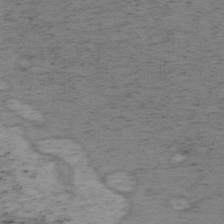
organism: Mouse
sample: OT-I killer T cells with ID8 ovarian cancer cells